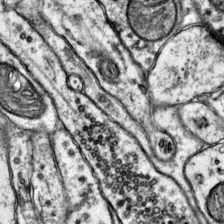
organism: Mouse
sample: Primary visual cortex